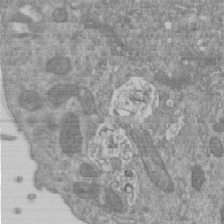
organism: Mouse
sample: ED-1 cell nuclei; centrioles